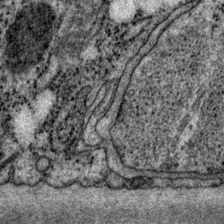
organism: P. pacificus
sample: Pharynx